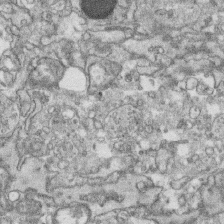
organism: Human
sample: CRL-1474